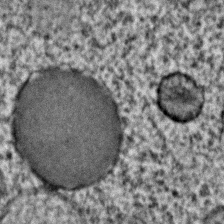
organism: C. elegans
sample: C. elegans embryo